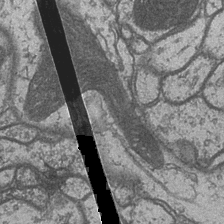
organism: Drosophila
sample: Optic medulla